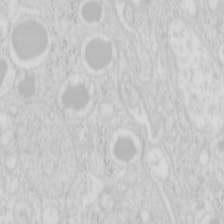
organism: Mouse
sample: Pancreas